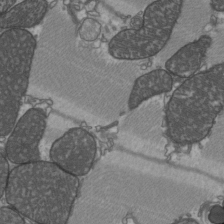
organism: C57BL Mouse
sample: Heart